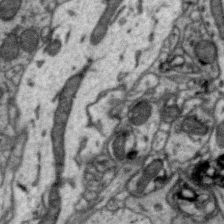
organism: Zebra finch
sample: Brain